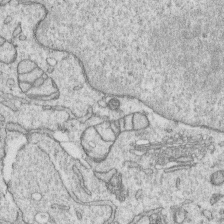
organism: Human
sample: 1205lu cells